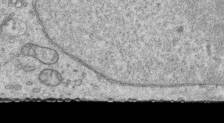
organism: Human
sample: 1205lu cells